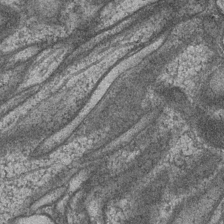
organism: Drosophila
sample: Optic medulla